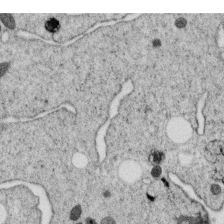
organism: C. elegans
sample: C. elegans oocyte; sperm cells